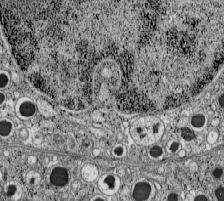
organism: C57BL Mouse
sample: Pancreatic islet